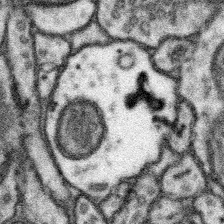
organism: Mouse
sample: Somatosensory cortex neuropil